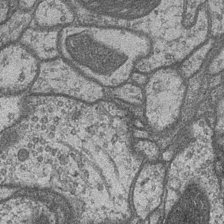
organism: Drosophila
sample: Optic medulla